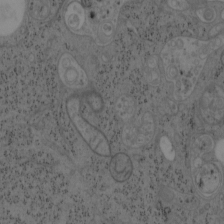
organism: Mouse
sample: OT-I killer T cells with ID8 ovarian cancer cells